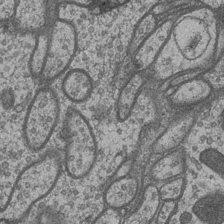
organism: Drosophila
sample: Optic medulla